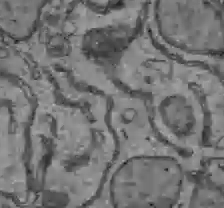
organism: C57BL Mouse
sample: Liver